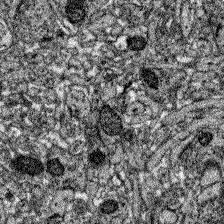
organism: Zebrafish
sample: Larval olfactory bulb